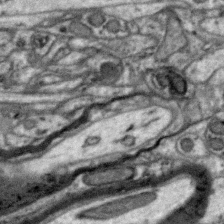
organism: Zebra finch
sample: Brain